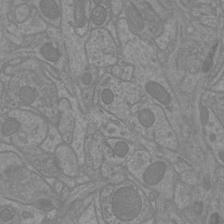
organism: Mouse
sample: Cortical neurons